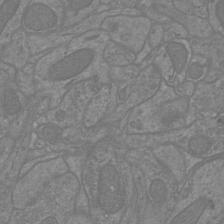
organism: Mouse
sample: Cortical neurons